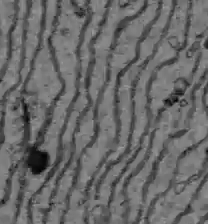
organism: C57BL Mouse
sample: Liver